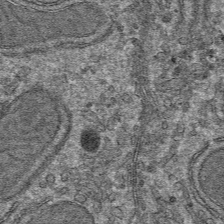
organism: Mouse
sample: Mouse hepatocytes